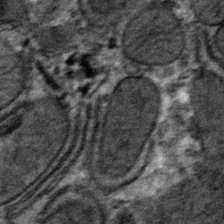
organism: Mouse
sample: Mouse hepatocytes